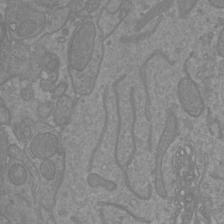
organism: Mouse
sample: Cortical neurons